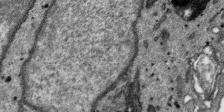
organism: Human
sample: Lung epithelial cells, uninfected (mock) control